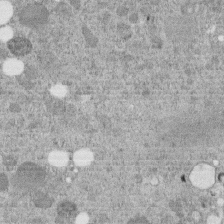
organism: C. elegans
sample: C. elegans embryo early stage